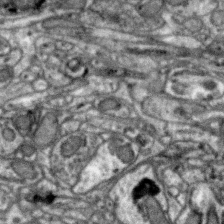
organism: Zebra finch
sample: Brain